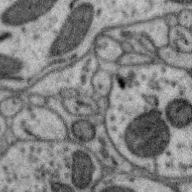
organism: Zebra finch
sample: Brain